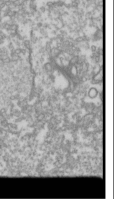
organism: Drosophila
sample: Cell division; meiosis; drosophila spermatocytes